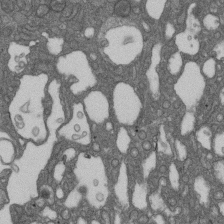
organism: Drosophila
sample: Nephrocyte